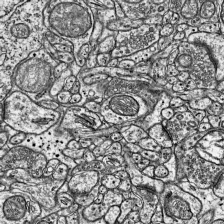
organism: Mouse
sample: Visual Cortex